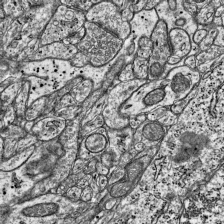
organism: Mouse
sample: Visual Cortex